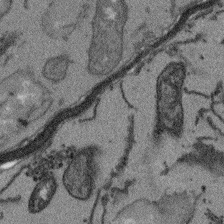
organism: Arabidopsis thaliana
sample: Root tip